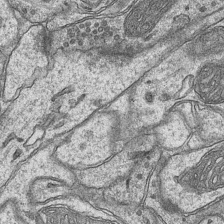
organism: Mouse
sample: CA1 Hippocampus